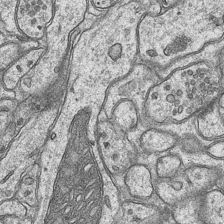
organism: Mouse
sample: CA1 Hippocampus